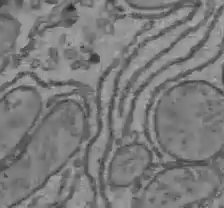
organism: C57BL Mouse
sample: Liver